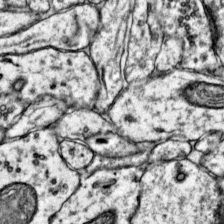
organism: Mouse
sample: Primary visual cortex